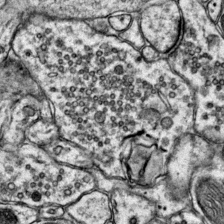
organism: Mouse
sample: Primary visual cortex